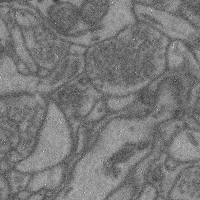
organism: Mouse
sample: Cerebral cortex